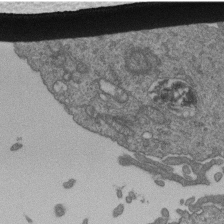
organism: Human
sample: Retinal organoid Rod and Cone cells